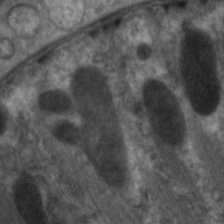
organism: C. elegans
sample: Pharynx